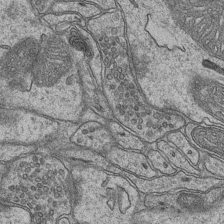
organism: Mouse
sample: CA1 Hippocampus